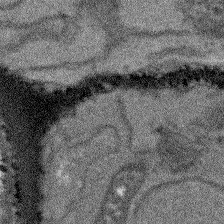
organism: Arabidopsis thaliana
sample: Root tip